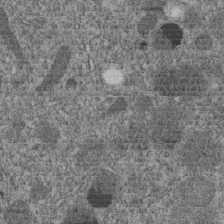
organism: C. elegans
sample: C. elegans embryo early stage